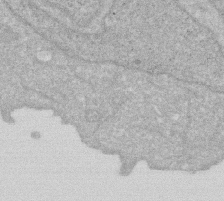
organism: Human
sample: HIV infected U937 cells